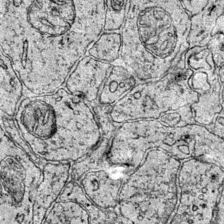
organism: Mouse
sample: Primary visual cortex